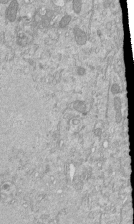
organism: Mouse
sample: ED-1 cell nuclei; centrioles